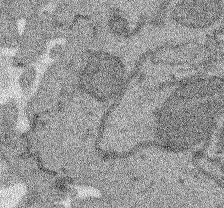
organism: Human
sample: HeLa cells